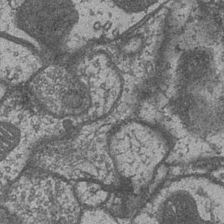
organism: Drosophila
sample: Optic medulla